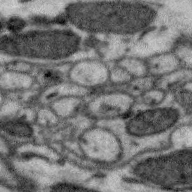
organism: Zebra finch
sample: Brain